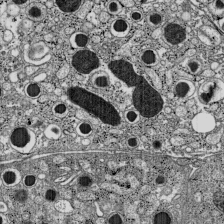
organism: C57BL Mouse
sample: Pancreatic islet